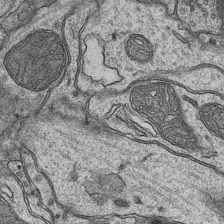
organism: Mouse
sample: CA1 Hippocampus